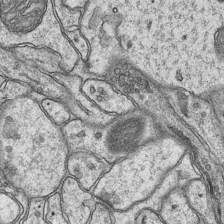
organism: Mouse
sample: CA1 Hippocampus